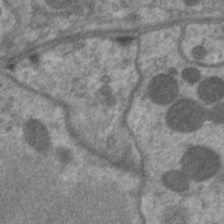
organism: C. elegans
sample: Pharynx